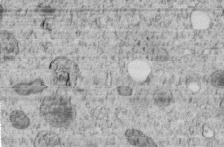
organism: C. elegans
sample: C. elegans embryo early stage